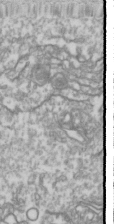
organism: Drosophila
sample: Cell division; meiosis; drosophila spermatocytes